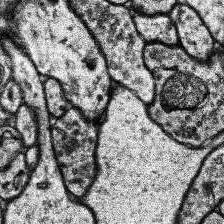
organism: Human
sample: Temporal Lobe